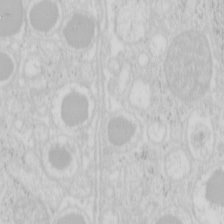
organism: Mouse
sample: Pancreas